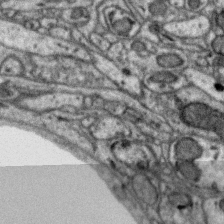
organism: Zebra finch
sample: Brain